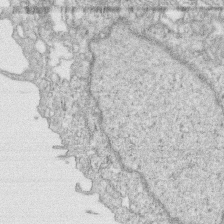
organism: Human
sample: HeLa cell HIV synapse